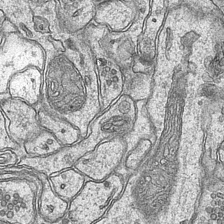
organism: Mouse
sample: CA1 Hippocampus